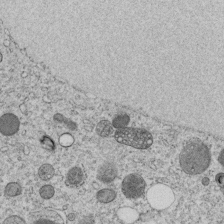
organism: C. elegans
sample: C. elegans embryo early stage